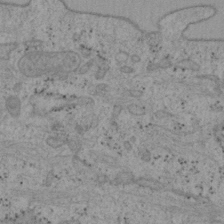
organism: Human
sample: HeLa cells